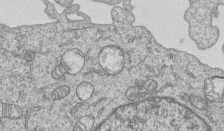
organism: Human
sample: MDA-MB-231 cells